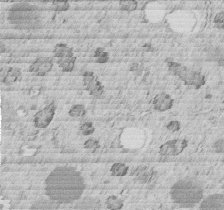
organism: C. elegans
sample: C. elegans embryo early stage